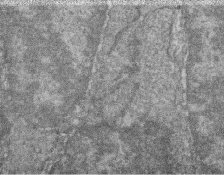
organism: Zebrafish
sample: Cilia; retinal pigment epithelium